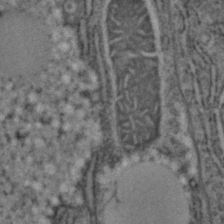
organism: C. elegans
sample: C. elegans embryo